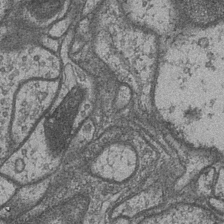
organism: Drosophila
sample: Optic medulla